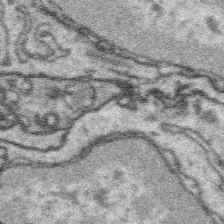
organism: Platynereis dumerilii